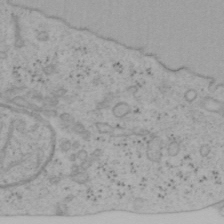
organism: Human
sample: HeLa cells